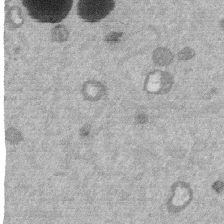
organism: Mouse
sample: Dividing mouse embryo 1 cell stage